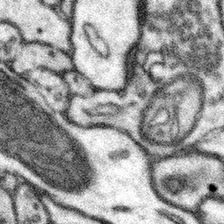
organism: Mouse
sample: Somatosensory cortex neuropil